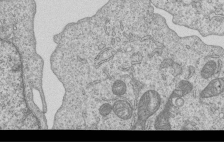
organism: Human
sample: MDA-MB-231 cells